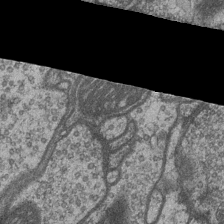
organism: Drosophila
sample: Optic medulla